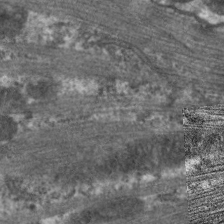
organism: C. elegans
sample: Pharynx